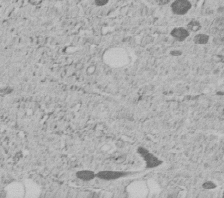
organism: C. elegans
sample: C. elegans embryo early stage